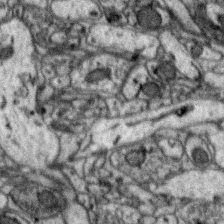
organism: Zebra finch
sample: Brain